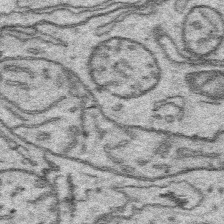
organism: Platynereis dumerilii